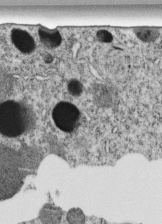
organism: C. elegans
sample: C. elegans embryo early stage